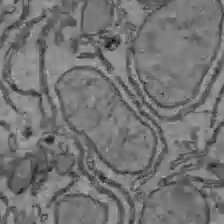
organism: C57BL Mouse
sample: Liver